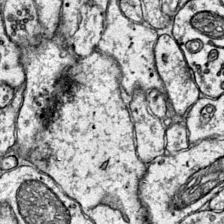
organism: Mouse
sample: Primary visual cortex